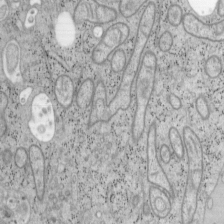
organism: Mouse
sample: OT-I killer T cells with ID8 ovarian cancer cells